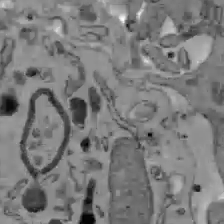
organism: C57BL Mouse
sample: Liver